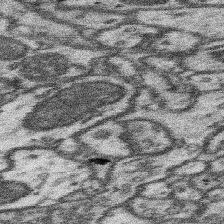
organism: Mouse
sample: Somatosensory cortex neuropil